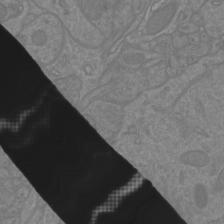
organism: Mouse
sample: Cortical neurons